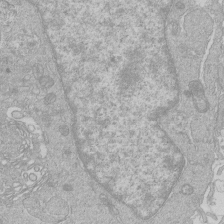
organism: Human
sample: Macrophage cells